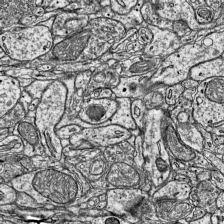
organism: Mouse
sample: Visual Cortex